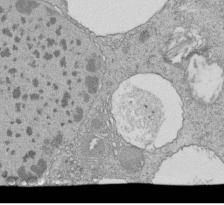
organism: Tetrahymena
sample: Cilia in tetrahymena